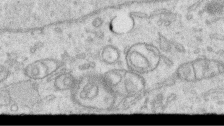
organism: Human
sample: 1205lu cells